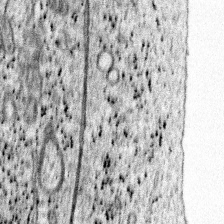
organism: Human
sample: HeLa cells